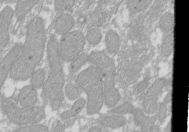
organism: Xenopus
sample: Cilia; centrioles in frog embryo cells